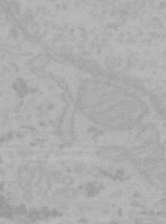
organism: Mouse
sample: Choroid plexus